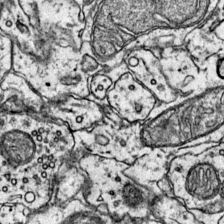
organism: Mouse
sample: Primary visual cortex